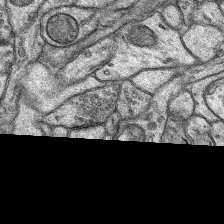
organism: Rat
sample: Hippocampus